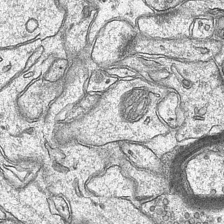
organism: Mouse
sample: CA1 Hippocampus